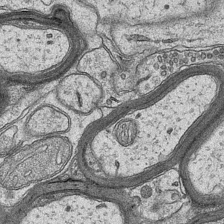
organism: Mouse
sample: CA1 Hippocampus